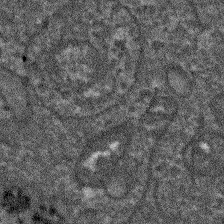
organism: Arabidopsis thaliana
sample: Root tip